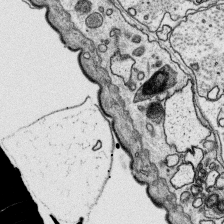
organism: Platynereis dumerilii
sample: Parapodia